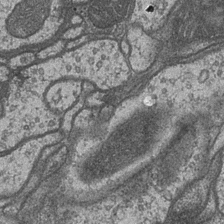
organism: Drosophila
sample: Optic medulla